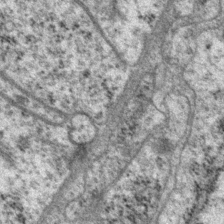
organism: P. pacificus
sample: Pharynx